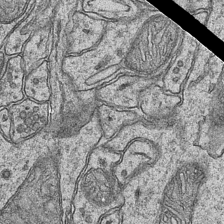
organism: Mouse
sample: CA1 Hippocampus